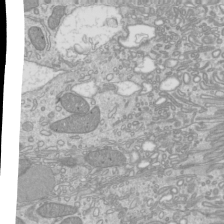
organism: Mouse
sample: Cilia; mouse epididymis